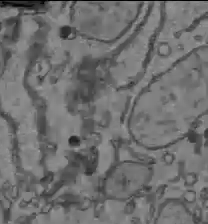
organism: C57BL Mouse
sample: Liver